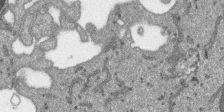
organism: Human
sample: Lung epithelial cells infected with SARS-CoV-2